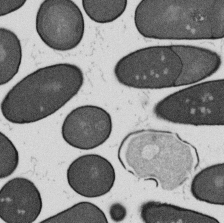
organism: B. subtilis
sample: Bacterial spore